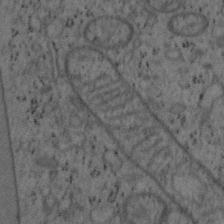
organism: Human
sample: HeLa cells